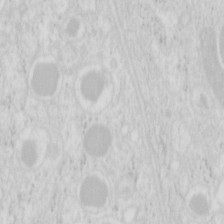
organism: Mouse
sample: Pancreas